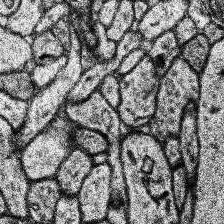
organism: Human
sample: Temporal Lobe